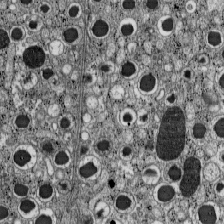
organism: C57BL Mouse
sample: Pancreatic islet